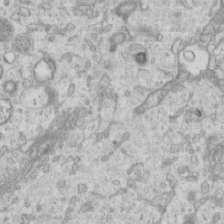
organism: Mouse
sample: Centriole in ependymal cells